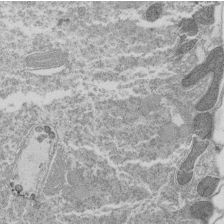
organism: Tetrahymena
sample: Cilia in tetrahymena